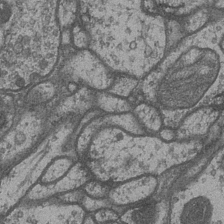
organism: Drosophila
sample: Optic medulla